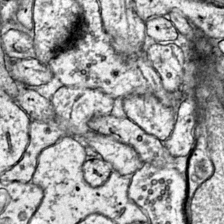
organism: Mouse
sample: Primary visual cortex